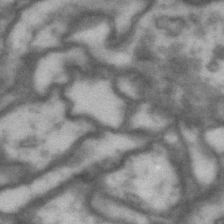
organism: Drosophila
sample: Brain